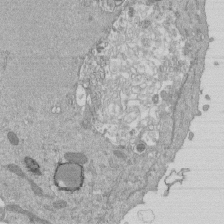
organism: Mouse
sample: ED-1 cell nuclei; centrioles